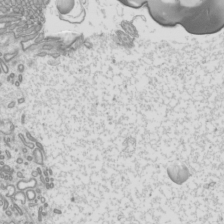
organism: Mouse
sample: Cilia; mouse epididymis